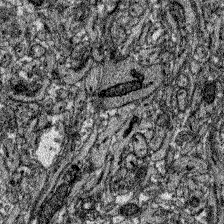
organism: Zebrafish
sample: Larval olfactory bulb